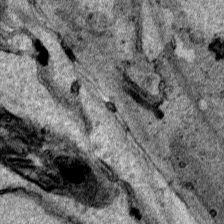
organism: Human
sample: Mitochondria in HCT116 cells